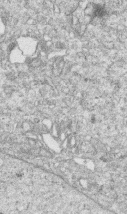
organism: Human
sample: HeLa cell HIV synapse